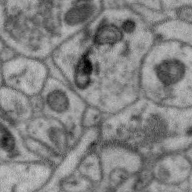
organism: Zebra finch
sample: Brain